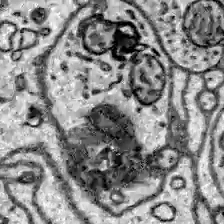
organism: Zebrafish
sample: Brain